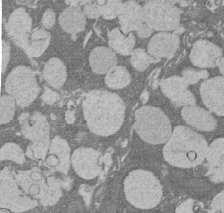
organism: Rat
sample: Salivary granule